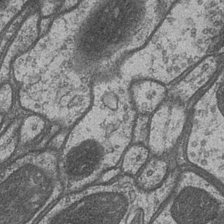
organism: Drosophila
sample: Optic medulla